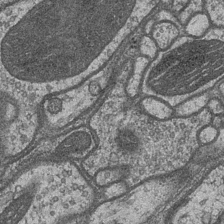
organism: Drosophila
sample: Optic medulla